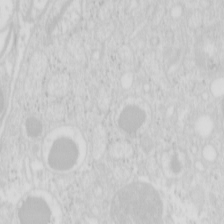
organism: Mouse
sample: Pancreas